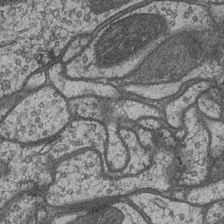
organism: Drosophila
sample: Optic medulla